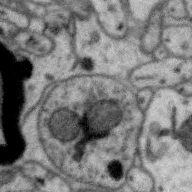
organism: Zebra finch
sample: Brain